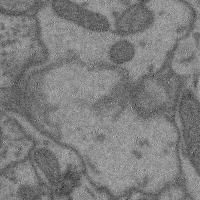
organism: Mouse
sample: Cerebral cortex